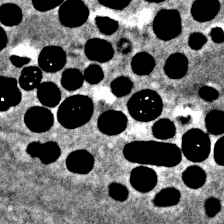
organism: Zebrafish